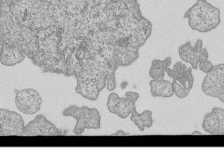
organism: Human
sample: MDA-MB-231 cells